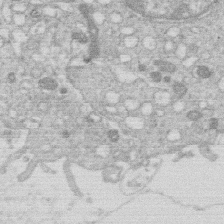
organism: Human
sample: Macrophage cells